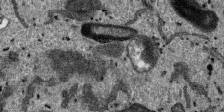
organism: Human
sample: Lung epithelial cells, uninfected (mock) control